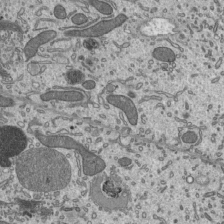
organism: Mouse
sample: Mouse epididymis efferent ductule cilia